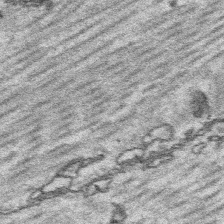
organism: Platynereis dumerilii